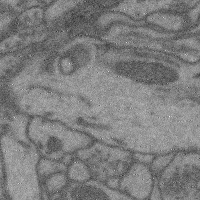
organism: Mouse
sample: Cerebral cortex